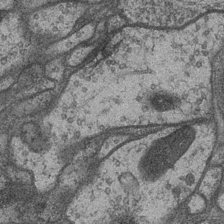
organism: Drosophila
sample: Optic medulla